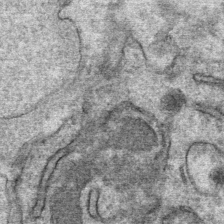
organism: Mouse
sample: Mouse Salivary gland